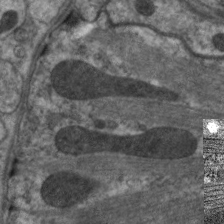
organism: C. elegans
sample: Pharynx